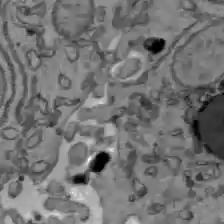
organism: C57BL Mouse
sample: Liver